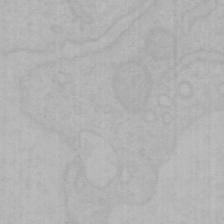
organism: Mouse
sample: Choroid plexus